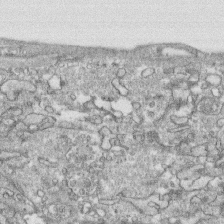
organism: Human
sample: CRL-1474